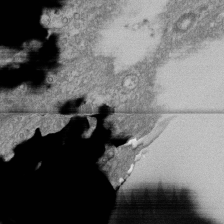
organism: Human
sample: Fibroblast cells